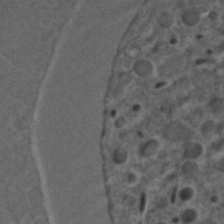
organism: C. elegans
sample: C. elegans embryo